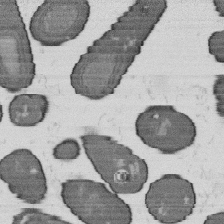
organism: B. subtilis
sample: Bacterial spore